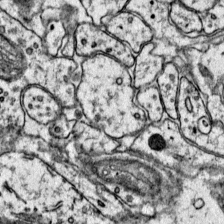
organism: Mouse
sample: Primary visual cortex